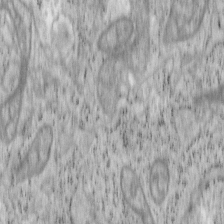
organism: Human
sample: HeLa cells